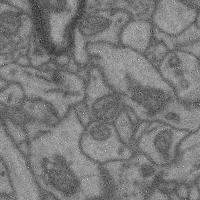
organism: Mouse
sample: Cerebral cortex